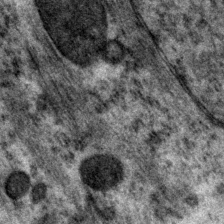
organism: P. pacificus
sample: Pharynx